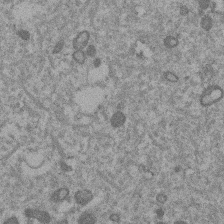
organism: Mouse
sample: Dividing mouse embryo 1 cell stage